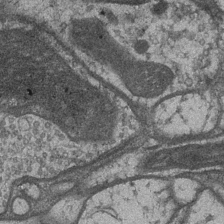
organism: Drosophila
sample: Optic medulla